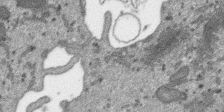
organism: Human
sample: Lung epithelial cells infected with SARS-CoV-2